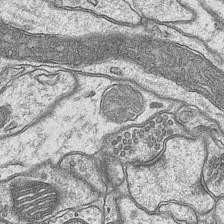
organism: Mouse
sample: CA1 Hippocampus